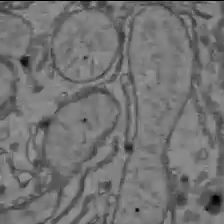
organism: C57BL Mouse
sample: Liver